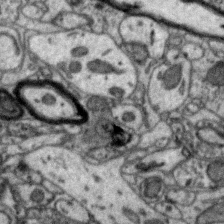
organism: Zebra finch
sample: Brain